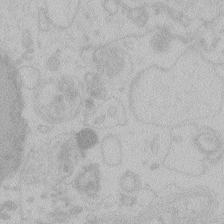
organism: Zebrafish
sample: Macrophage infected with Toxoplasma gondii